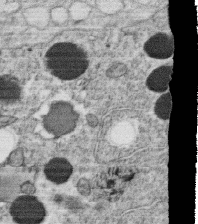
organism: C. elegans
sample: C. elegans oocyte; sperm cells